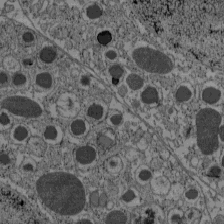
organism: C57BL Mouse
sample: Pancreatic islet